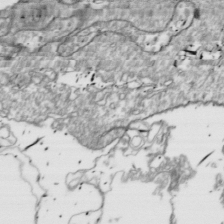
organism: Drosophila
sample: Cell division; meiosis; drosophila spermatocytes